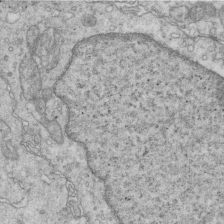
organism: Mouse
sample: Multiciliated cells